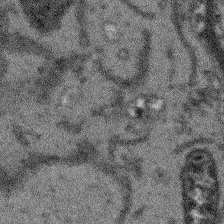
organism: Arabidopsis thaliana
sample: Root tip